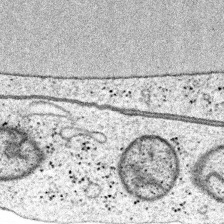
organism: Human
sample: HeLa cells